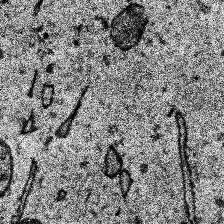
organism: Human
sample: Temporal Lobe